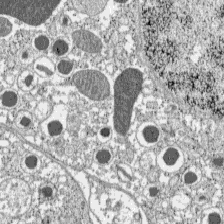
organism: C57BL Mouse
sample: Pancreatic islet